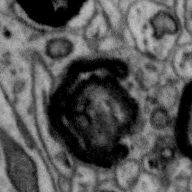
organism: Zebra finch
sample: Brain